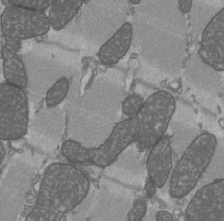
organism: C57BL Mouse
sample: Heart